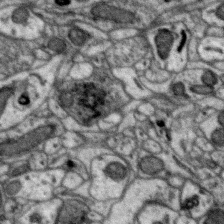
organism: Zebra finch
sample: Brain